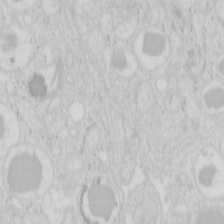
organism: Mouse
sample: Pancreas